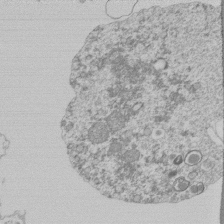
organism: Mouse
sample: Activated Pmel transgenic CD8+ T Cells